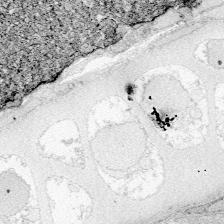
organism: Zebrafish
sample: Whole-Brain